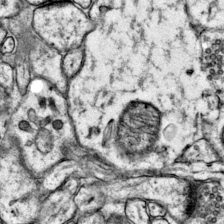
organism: Mouse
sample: Primary visual cortex